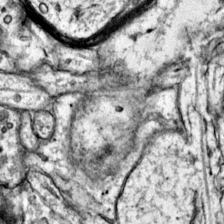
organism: Mouse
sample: Primary visual cortex